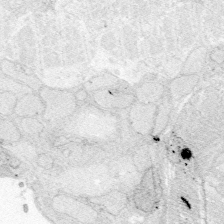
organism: Zebrafish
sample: Whole-Brain